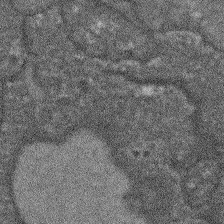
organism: Arabidopsis thaliana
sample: Root tip